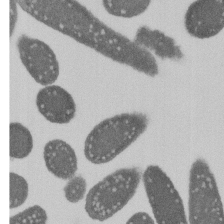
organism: E. coli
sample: Bacterial nucleoid